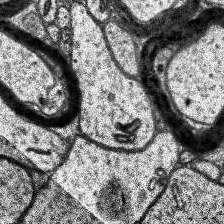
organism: Human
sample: Temporal Lobe